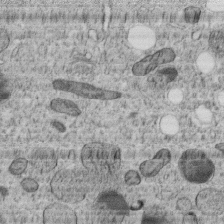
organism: C. elegans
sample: C. elegans embryo early stage